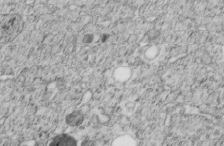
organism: C. elegans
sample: C. elegans embryo early stage